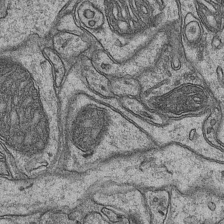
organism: Mouse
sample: CA1 Hippocampus